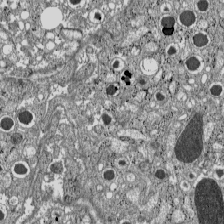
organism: C57BL Mouse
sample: Pancreatic islet